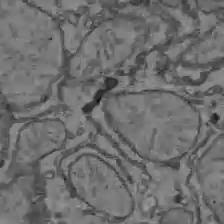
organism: C57BL Mouse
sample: Liver